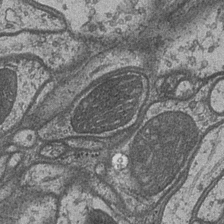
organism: Drosophila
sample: Optic medulla